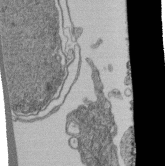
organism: Human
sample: Retinal organoid Rod and Cone cells